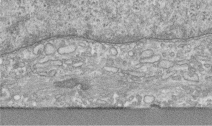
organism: Human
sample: Centriole in RPE cells